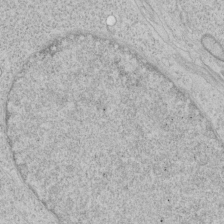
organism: Human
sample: Mitochondria in HCT116 cells